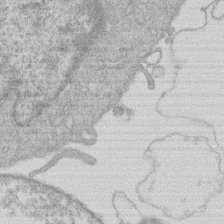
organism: Human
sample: Macrophage cells